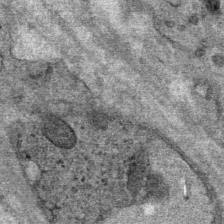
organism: Mouse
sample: Mouse Salivary gland